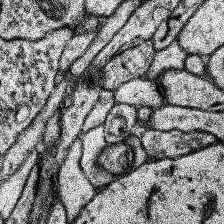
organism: Human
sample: Temporal Lobe